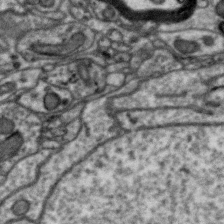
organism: Zebra finch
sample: Brain